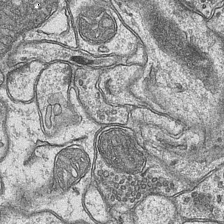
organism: Mouse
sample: CA1 Hippocampus